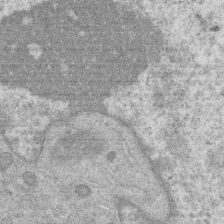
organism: Human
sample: Macrophage cells